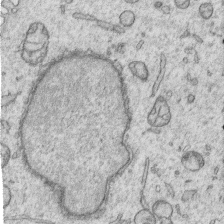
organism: Human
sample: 1205lu cells